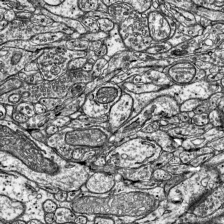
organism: Mouse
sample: Visual Cortex